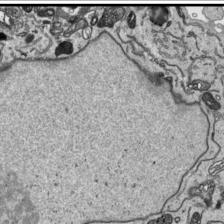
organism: Human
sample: Mitochondria in HCT116 cells